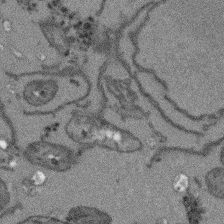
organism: Arabidopsis thaliana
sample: Root tip